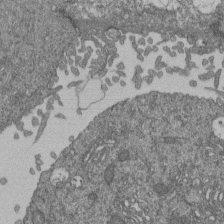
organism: Human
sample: Retinal organoid Rod and Cone cells